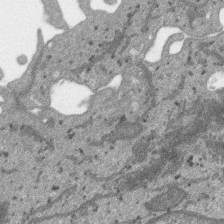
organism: Human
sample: Lung epithelial cells infected with SARS-CoV-2